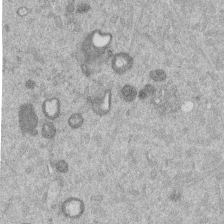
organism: Mouse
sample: Dividing mouse embryo 1 cell stage